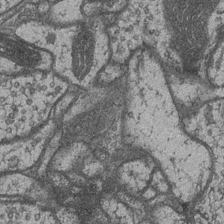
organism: Drosophila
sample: Optic medulla